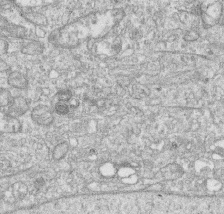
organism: Human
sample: HeLa cell HIV synapse